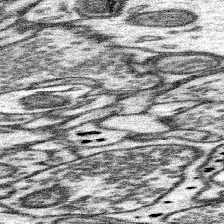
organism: Mouse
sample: Somatosensory cortex neuropil